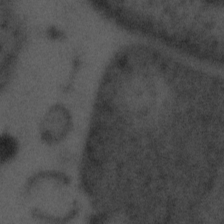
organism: Tuwongella immobilis